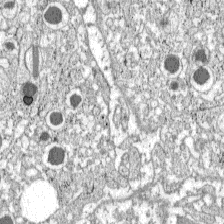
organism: C57BL Mouse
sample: Pancreatic islet